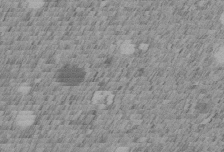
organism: C. elegans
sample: C. elegans embryo early stage